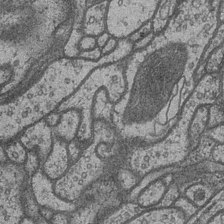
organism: Drosophila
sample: Optic medulla